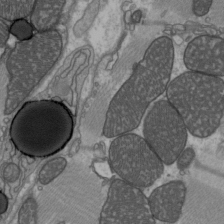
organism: C57BL Mouse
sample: Heart